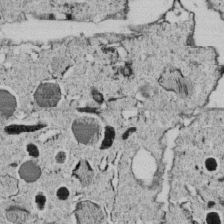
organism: C. elegans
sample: C. elegans embryo early stage